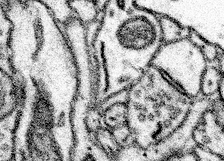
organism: Mouse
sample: Somatosensory cortex neuropil